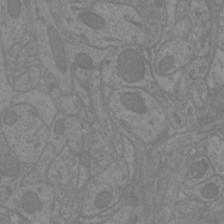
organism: Mouse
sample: Cortical neurons